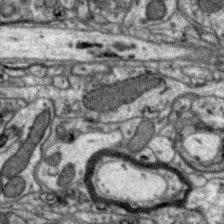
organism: Zebra finch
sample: Brain